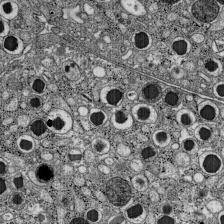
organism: C57BL Mouse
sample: Pancreatic islet